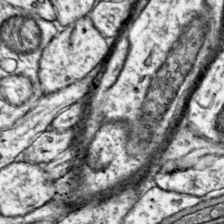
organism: Mouse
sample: Primary visual cortex